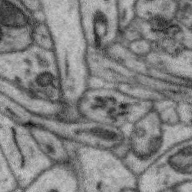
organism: Zebra finch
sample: Brain